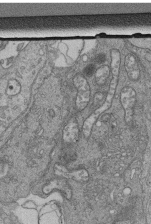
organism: Human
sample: Retinal organoid Rod and Cone cells